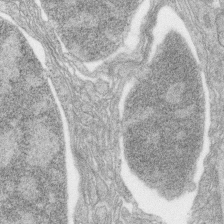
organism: Zebrafish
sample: synaptic ribbons in rod cells and cone cells